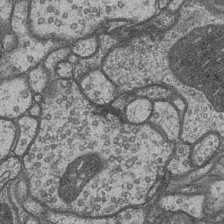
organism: Drosophila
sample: Optic medulla